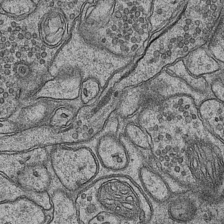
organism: Mouse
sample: CA1 Hippocampus